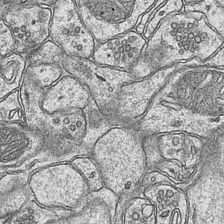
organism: Mouse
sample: CA1 Hippocampus